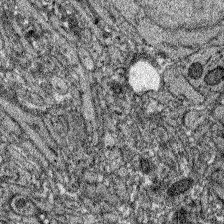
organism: Zebrafish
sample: Larval olfactory bulb